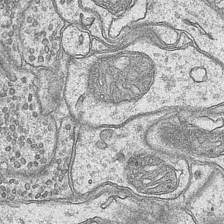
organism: Mouse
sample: CA1 Hippocampus